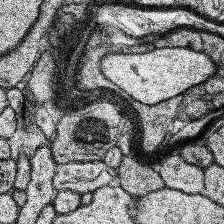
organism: Human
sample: Temporal Lobe